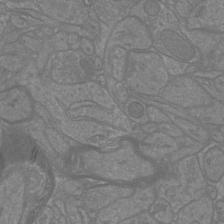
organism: Mouse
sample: Cortical neurons